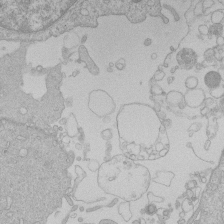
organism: Human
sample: Macrophage cells